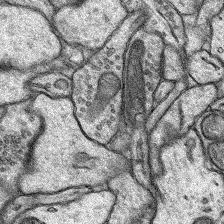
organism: Rat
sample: Hippocampus